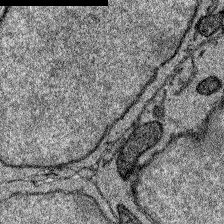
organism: Zebrafish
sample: Larval olfactory bulb